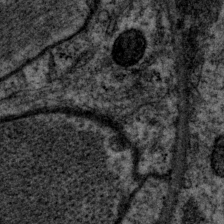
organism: P. pacificus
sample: Pharynx